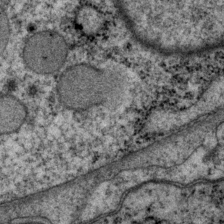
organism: P. pacificus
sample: Pharynx